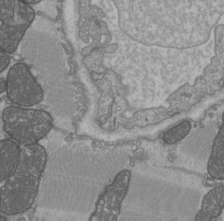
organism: C57BL Mouse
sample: Heart